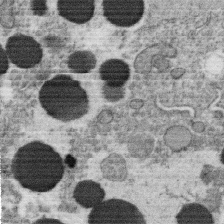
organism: C. elegans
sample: C. elegans oocyte; sperm cells